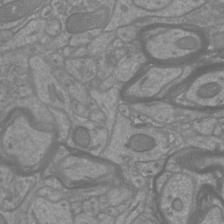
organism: Mouse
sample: Cortical neurons